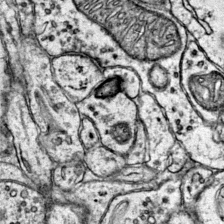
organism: Mouse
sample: Primary visual cortex